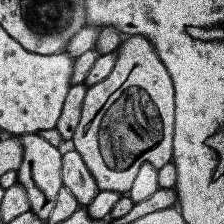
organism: Human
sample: Temporal Lobe